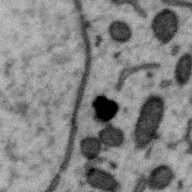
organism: Zebra finch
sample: Brain